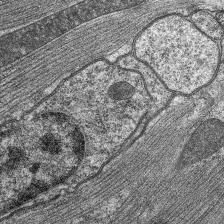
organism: C. elegans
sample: Pharynx